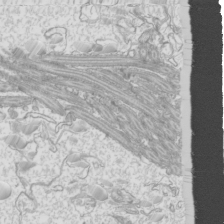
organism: Mouse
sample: Cilia; mouse epididymis